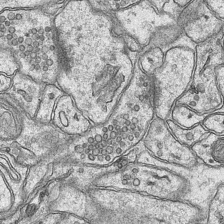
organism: Mouse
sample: CA1 Hippocampus